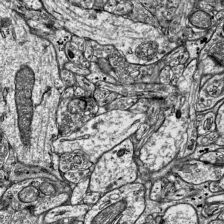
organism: Mouse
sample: Visual Cortex